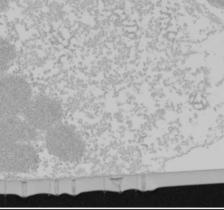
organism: Mouse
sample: Cancer cell death in ED-1 cells